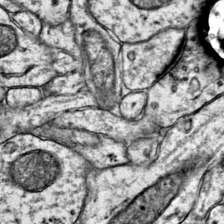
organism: Mouse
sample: Primary visual cortex